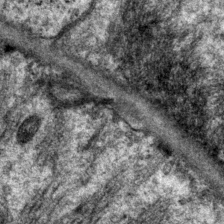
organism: P. pacificus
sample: Pharynx